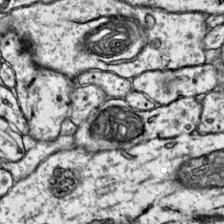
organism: Mouse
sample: Primary visual cortex